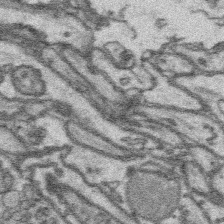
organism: Platynereis dumerilii